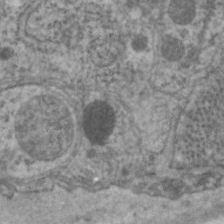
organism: C. elegans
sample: Pharynx